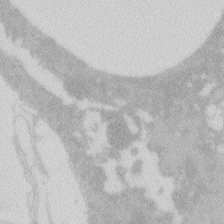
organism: Zebrafish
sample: Macrophage